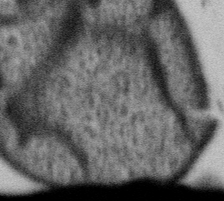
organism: Gemmata obscuriglobus